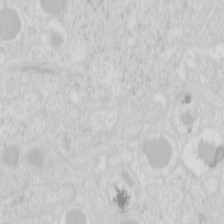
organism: Mouse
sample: Pancreas